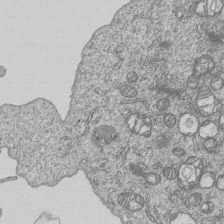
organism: Human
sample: MDA-MB-231 cells